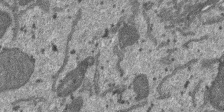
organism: Human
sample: Lung epithelial cells infected with SARS-CoV-2